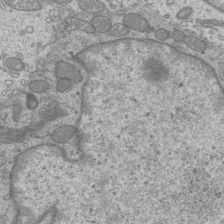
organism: Mouse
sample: Cilia; mouse epididymis